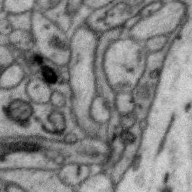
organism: Zebra finch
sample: Brain